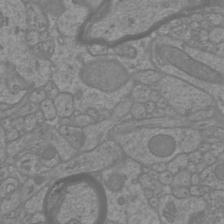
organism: Mouse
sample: Cortical neurons